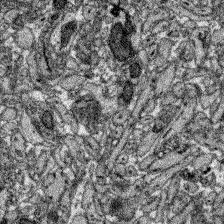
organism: Zebrafish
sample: Larval olfactory bulb